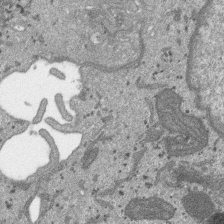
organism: Human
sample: Lung epithelial cells infected with SARS-CoV-2